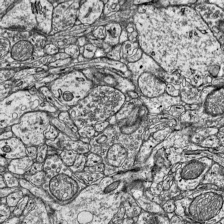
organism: Mouse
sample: Visual Cortex